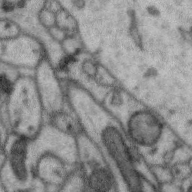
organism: Zebra finch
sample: Brain